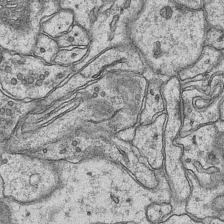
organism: Mouse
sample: CA1 Hippocampus